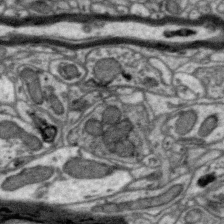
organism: Zebra finch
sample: Brain